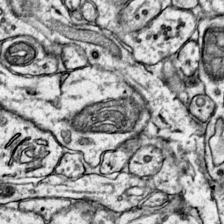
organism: Mouse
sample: Primary visual cortex